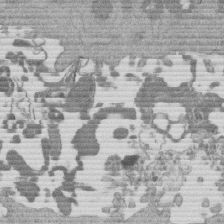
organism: Mouse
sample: Dividing mouse embryo 1 cell stage